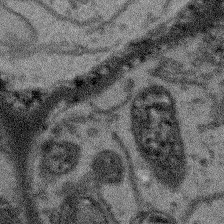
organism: Arabidopsis thaliana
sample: Root tip